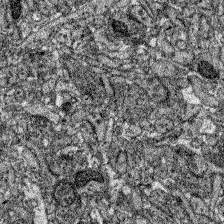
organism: Zebrafish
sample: Larval olfactory bulb